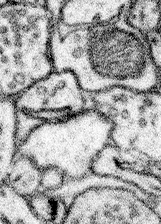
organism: Mouse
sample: Somatosensory cortex neuropil